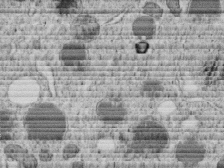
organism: C. elegans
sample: C. elegans embryo early stage